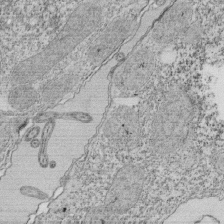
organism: Tetrahymena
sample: Cilia in tetrahymena